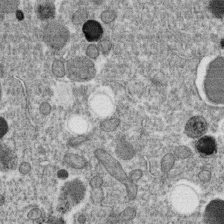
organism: C. elegans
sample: C. elegans oocyte; sperm cells